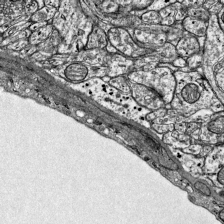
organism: Mouse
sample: Visual Cortex